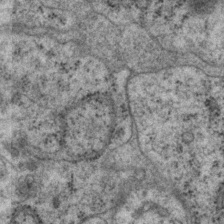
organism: P. pacificus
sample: Pharynx